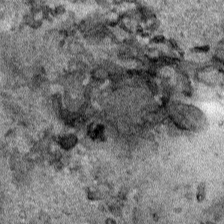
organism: Human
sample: Mitochondria in HCT116 cells